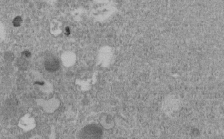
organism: C. elegans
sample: C. elegans embryo early stage